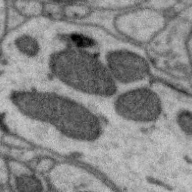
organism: Zebra finch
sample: Brain